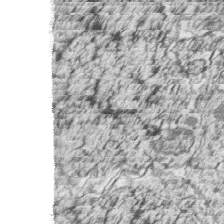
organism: Zebrafish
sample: synaptic ribbons in rod cells and cone cells